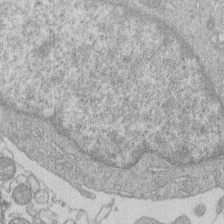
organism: Human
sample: Macrophage cells